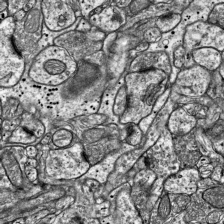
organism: Mouse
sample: Visual Cortex